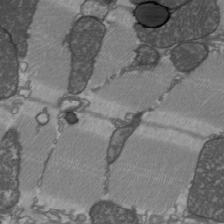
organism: C57BL Mouse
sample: Heart